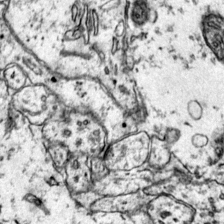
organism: Mouse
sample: Primary visual cortex